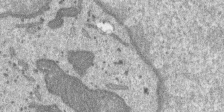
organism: Human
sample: Lung epithelial cells infected with SARS-CoV-2